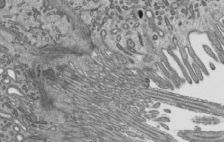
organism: Mouse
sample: Mouse epididymis efferent ductule cilia